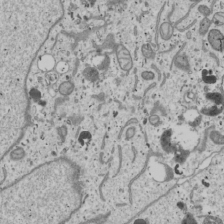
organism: Human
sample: Mitochondria in U2OS cells